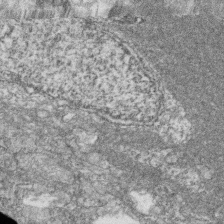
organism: Zebrafish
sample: Cilia; retinal pigment epithelium